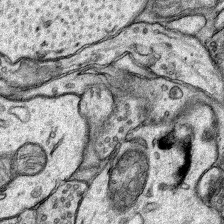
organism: Rat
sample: Hippocampus